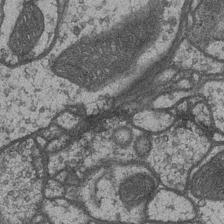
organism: Drosophila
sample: Optic medulla